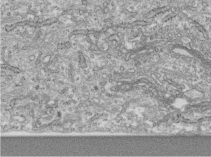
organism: Human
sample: Centriole in RPE cells